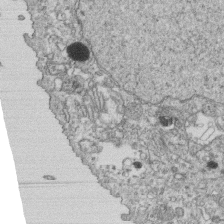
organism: Human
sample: HeLa cell HIV synapse